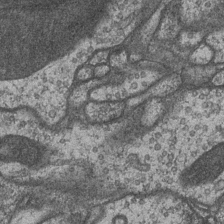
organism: Drosophila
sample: Optic medulla